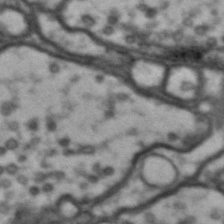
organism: Drosophila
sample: Brain